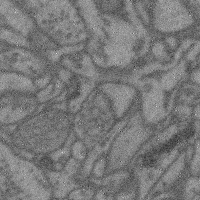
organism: Mouse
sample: Cerebral cortex